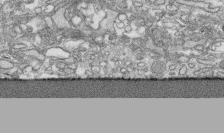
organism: Human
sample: CRL-1474